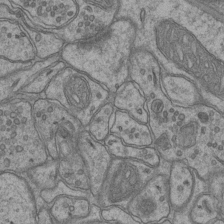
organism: Mouse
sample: CA1 Hippocampus